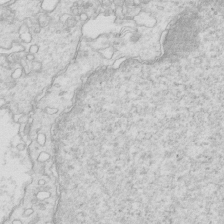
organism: Mouse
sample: Multiciliated cells